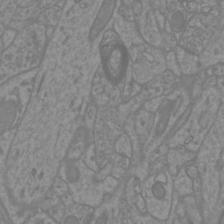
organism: Mouse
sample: Cortical neurons